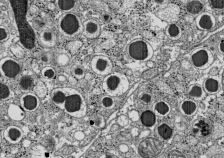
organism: C57BL Mouse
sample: Pancreatic islet